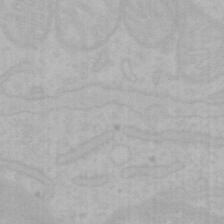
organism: Mouse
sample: Choroid plexus